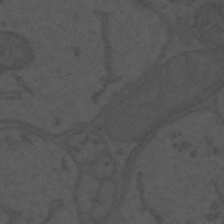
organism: Mouse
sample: Suprachiasmatic nucleus